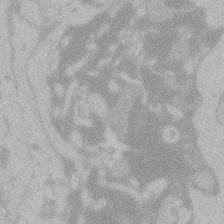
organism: Zebrafish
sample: Macrophage infected with Toxoplasma gondii